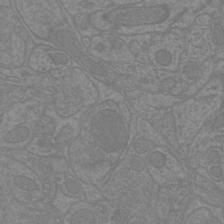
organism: Mouse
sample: Cortical neurons